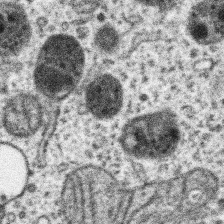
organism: Human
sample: HeLa cells